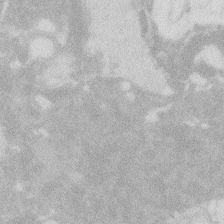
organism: Zebrafish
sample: Macrophage